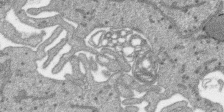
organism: Human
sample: Lung epithelial cells infected with SARS-CoV-2